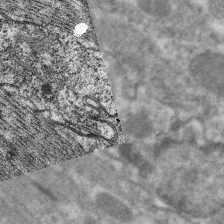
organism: C. elegans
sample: Pharynx